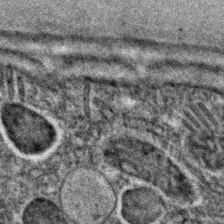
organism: C. elegans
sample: C. elegans embryo